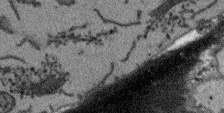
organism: Arabidopsis thaliana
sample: Root tip